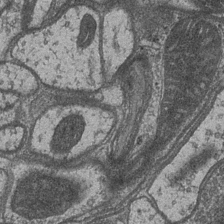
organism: Drosophila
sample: Optic medulla